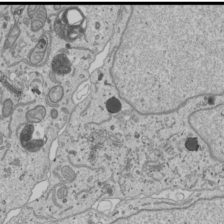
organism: Human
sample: Mitochondria in U2OS cells